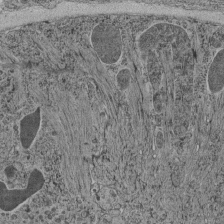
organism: C. elegans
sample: C. elegans pharynx